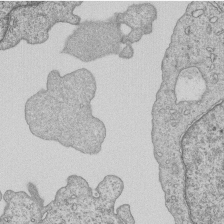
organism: Human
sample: MDA-MB-231 cells